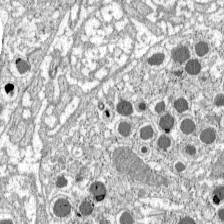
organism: C57BL Mouse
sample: Pancreatic islet